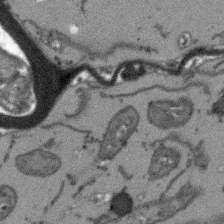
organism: Arabidopsis thaliana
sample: Root tip